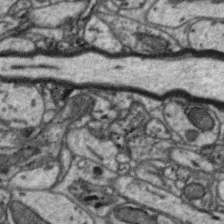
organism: Zebra finch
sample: Brain